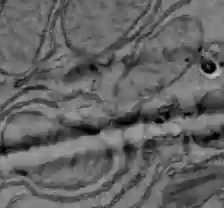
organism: C57BL Mouse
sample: Liver